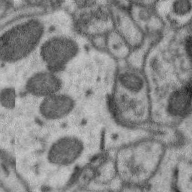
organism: Zebra finch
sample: Brain